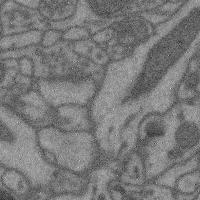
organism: Mouse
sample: Cerebral cortex